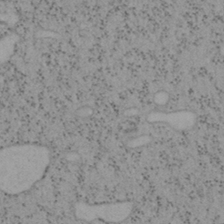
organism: Mouse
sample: OT-I killer T cells with ID8 ovarian cancer cells